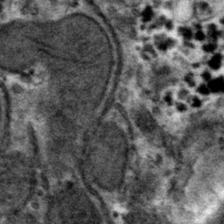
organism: Mouse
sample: Mouse hepatocytes